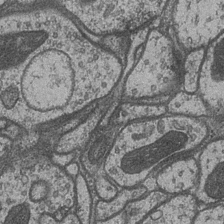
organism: Drosophila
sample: Optic medulla